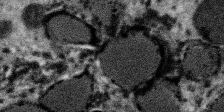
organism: Human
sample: Lung epithelial cells infected with SARS-CoV-2